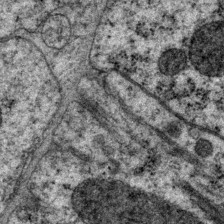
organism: P. pacificus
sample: Pharynx